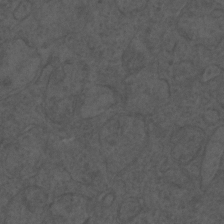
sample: Trachea